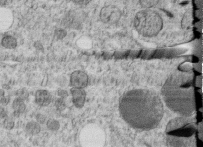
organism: C. elegans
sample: C. elegans embryo early stage